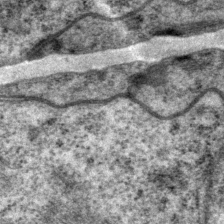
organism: P. pacificus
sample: Pharynx